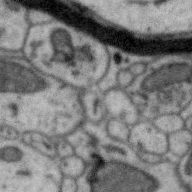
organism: Zebra finch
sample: Brain